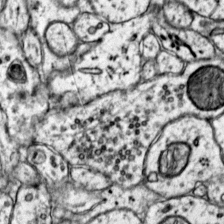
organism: Mouse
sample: Primary visual cortex